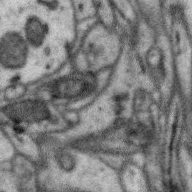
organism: Zebra finch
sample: Brain